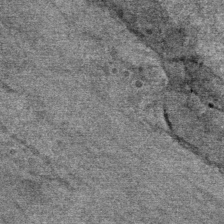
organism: Mouse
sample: Mouse Salivary gland